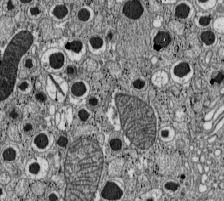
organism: C57BL Mouse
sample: Pancreatic islet